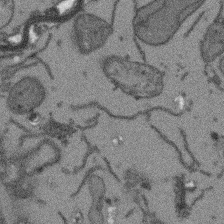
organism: Arabidopsis thaliana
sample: Root tip